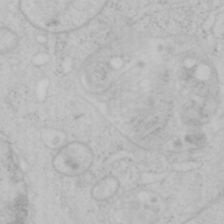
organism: Mouse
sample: OT-I killer T cells with ID8 ovarian cancer cells